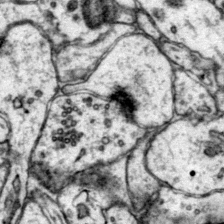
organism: Mouse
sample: Primary visual cortex